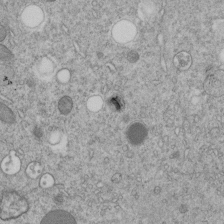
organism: C. elegans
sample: C. elegans embryo early stage